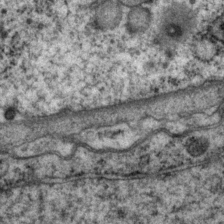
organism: P. pacificus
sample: Pharynx